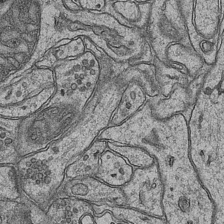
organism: Mouse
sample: CA1 Hippocampus